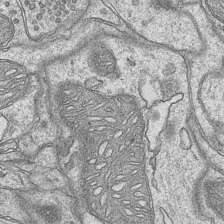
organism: Mouse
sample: CA1 Hippocampus